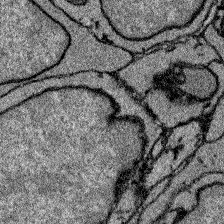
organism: Zebrafish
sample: Larval olfactory bulb